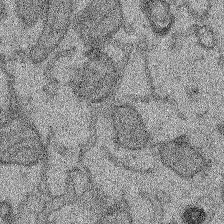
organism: Human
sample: HeLa cells